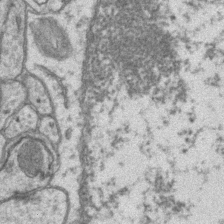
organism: Mouse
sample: CA1 Hippocampus